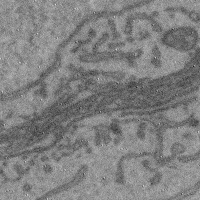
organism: Mouse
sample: Cerebral cortex